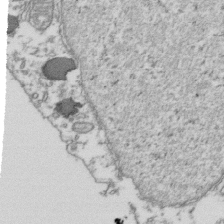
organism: Human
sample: Activated Jurkat CD4+ T cells